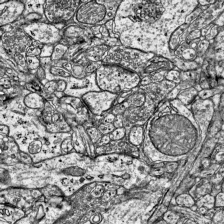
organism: Mouse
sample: Visual Cortex